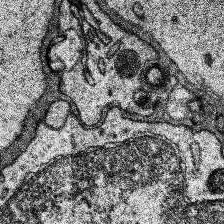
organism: Human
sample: Temporal Lobe